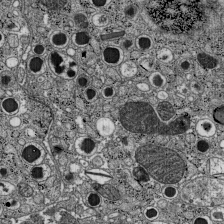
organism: C57BL Mouse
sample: Pancreatic islet